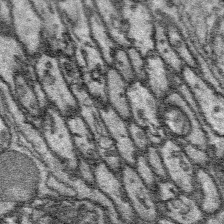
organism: Platynereis dumerilii